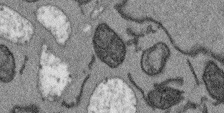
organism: Arabidopsis thaliana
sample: Root tip